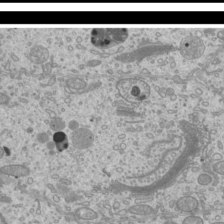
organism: Mouse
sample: Cilia; mouse epididymis